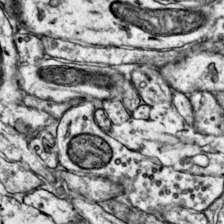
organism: Mouse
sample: Primary visual cortex